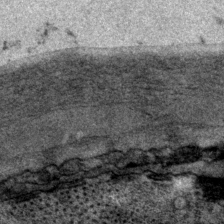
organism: P. pacificus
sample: Pharynx